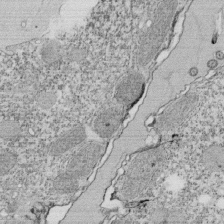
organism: Tetrahymena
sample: Cilia in tetrahymena